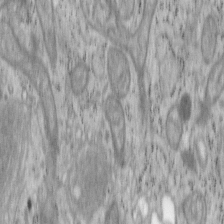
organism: Human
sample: HeLa cells